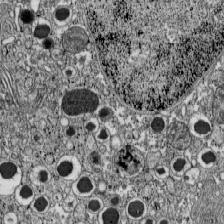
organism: C57BL Mouse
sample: Pancreatic islet